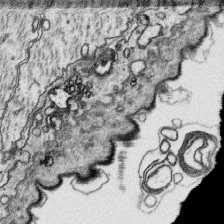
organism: Platynereis dumerilii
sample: Parapodia